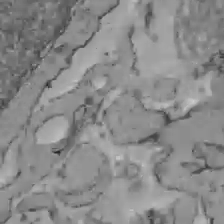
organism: C57BL Mouse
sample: Liver